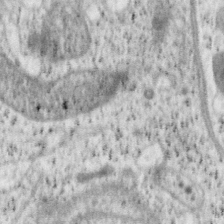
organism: Mouse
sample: OT-I killer T cells with ID8 ovarian cancer cells